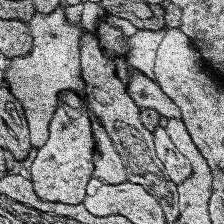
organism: Human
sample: Temporal Lobe